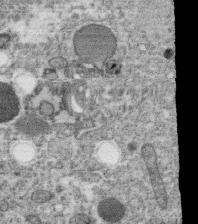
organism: C. elegans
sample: C. elegans oocyte; sperm cells